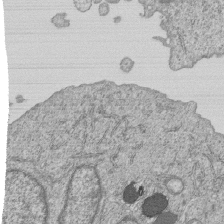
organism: Human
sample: MDA-MB-231 cells